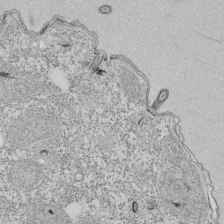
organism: Tetrahymena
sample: Cilia in tetrahymena